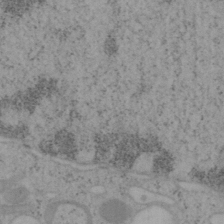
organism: Mouse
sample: OT-I killer T cells with ID8 ovarian cancer cells